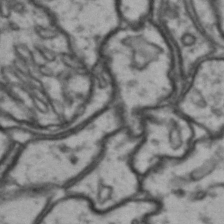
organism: Drosophila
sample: Brain